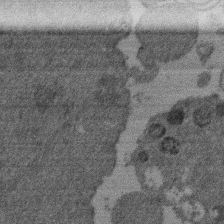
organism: Mouse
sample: Dividing mouse embryo 1 cell stage